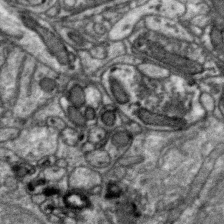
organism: Zebra finch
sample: Brain